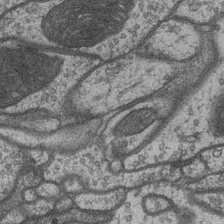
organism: Drosophila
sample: Optic medulla